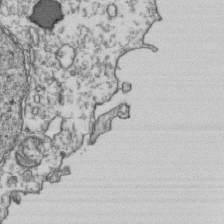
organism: Human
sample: Activated Jurkat CD4+ T cells